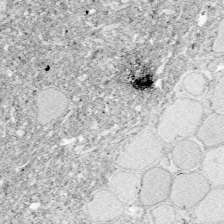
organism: Zebrafish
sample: Whole-Brain